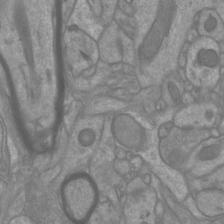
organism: Mouse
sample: Cortical neurons